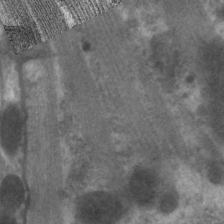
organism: C. elegans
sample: Pharynx